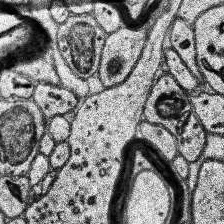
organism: Human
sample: Temporal Lobe